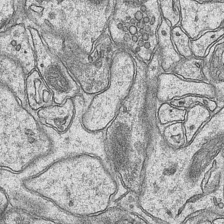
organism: Mouse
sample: CA1 Hippocampus